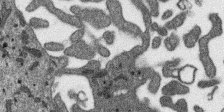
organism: Human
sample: Lung epithelial cells infected with SARS-CoV-2